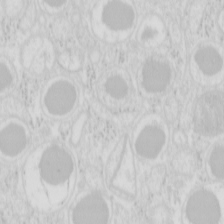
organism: Mouse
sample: Pancreas